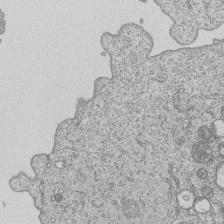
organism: Human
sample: MDA-MB-231 cells